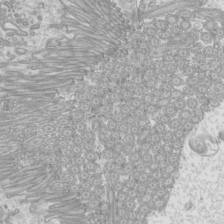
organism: Mouse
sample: Cilia; mouse epididymis